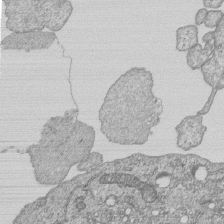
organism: Human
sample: MDA-MB-231 cells